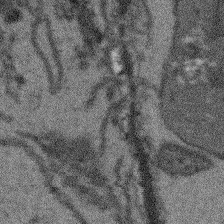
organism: Arabidopsis thaliana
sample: Root tip